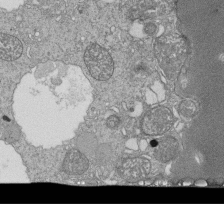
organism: Tetrahymena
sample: Cilia in tetrahymena